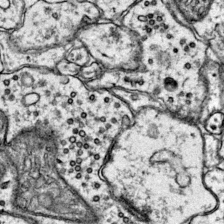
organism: Mouse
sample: Primary visual cortex